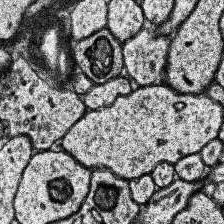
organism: Human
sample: Temporal Lobe